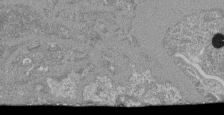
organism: Mouse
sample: Glomerulus